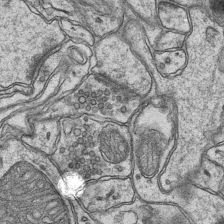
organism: Mouse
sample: CA1 Hippocampus